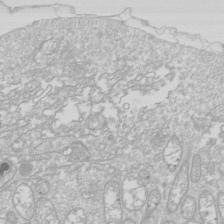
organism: Drosophila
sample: Cell division; meiosis; drosophila spermatocytes